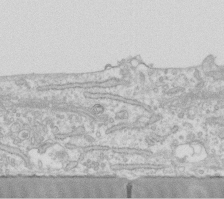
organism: Human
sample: Fibroblast cells